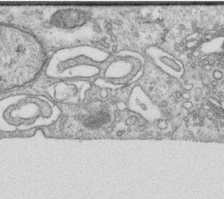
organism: Human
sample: Centriole in RPE cells